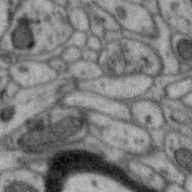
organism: Zebra finch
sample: Brain